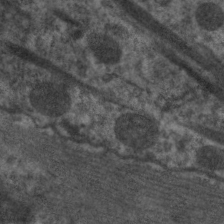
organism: C. elegans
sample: Pharynx